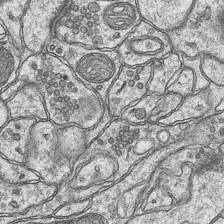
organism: Mouse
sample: CA1 Hippocampus